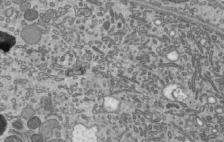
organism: Mouse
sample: Mouse epididymis efferent ductule cilia